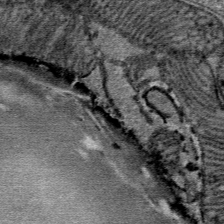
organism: Mouse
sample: Mouse Salivary gland